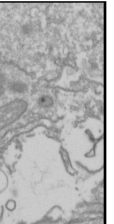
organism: Drosophila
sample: Cell division; meiosis; drosophila spermatocytes